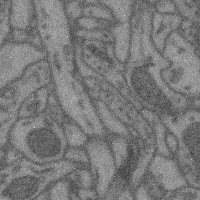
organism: Mouse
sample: Cerebral cortex